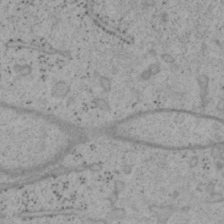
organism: Human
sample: HeLa cells